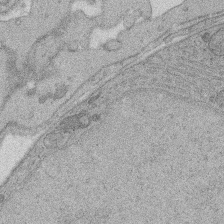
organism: Rat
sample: Salivary granule